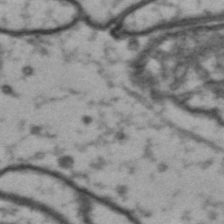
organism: Drosophila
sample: Brain